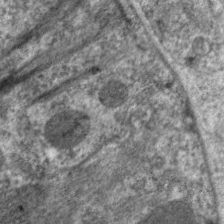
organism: C. elegans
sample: Pharynx